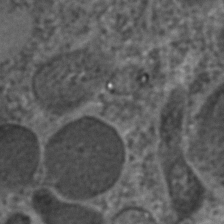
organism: C. elegans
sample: C. elegans embryo